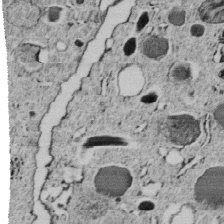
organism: C. elegans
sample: C. elegans embryo early stage